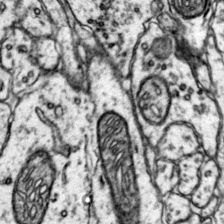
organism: Mouse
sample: Primary visual cortex